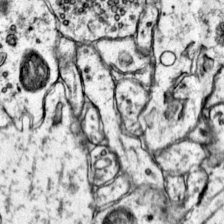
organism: Mouse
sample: Primary visual cortex